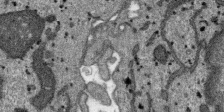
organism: Human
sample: Lung epithelial cells, uninfected (mock) control